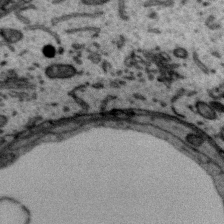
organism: Zebra finch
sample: Brain